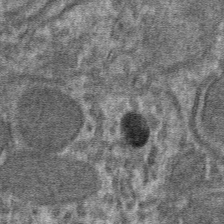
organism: Mouse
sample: Mouse hepatocytes